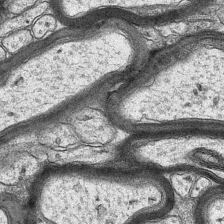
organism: Mouse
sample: CA1 Hippocampus